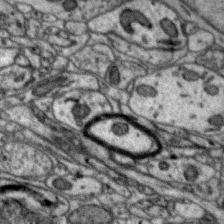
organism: Zebra finch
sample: Brain